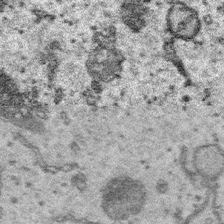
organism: Platynereis dumerilii